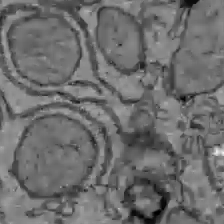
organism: C57BL Mouse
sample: Liver